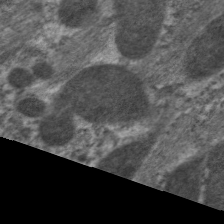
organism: C. elegans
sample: Pharynx